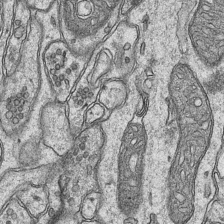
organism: Mouse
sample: CA1 Hippocampus